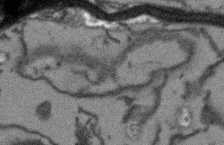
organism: Arabidopsis thaliana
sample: Root tip